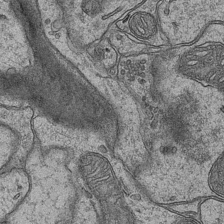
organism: Mouse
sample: CA1 Hippocampus